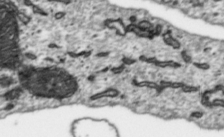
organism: Toxoplasma gondii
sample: Parasites in a vacuole inside a host cell